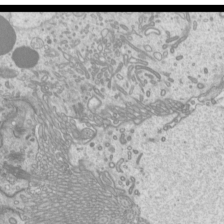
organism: Mouse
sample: Cilia; mouse epididymis